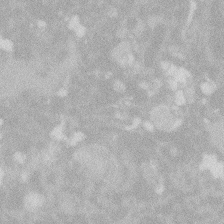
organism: Zebrafish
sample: Macrophage